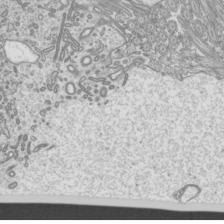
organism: Mouse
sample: Cilia; mouse epididymis